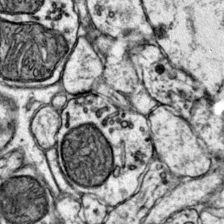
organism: Mouse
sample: Primary visual cortex